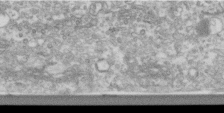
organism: Human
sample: Centriole in RPE cells